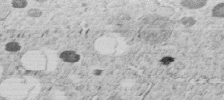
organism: C. elegans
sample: C. elegans embryo early stage